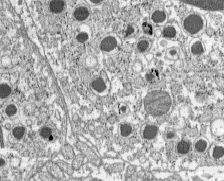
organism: C57BL Mouse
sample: Pancreatic islet